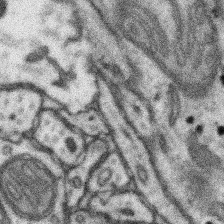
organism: Mouse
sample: Somatosensory cortex neuropil